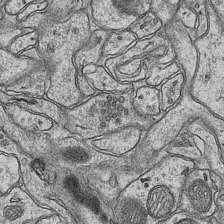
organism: Mouse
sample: CA1 Hippocampus